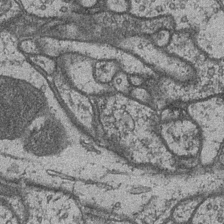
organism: Drosophila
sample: Optic medulla